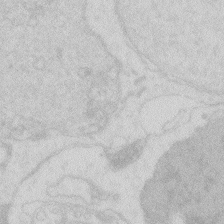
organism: Zebrafish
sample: Macrophage